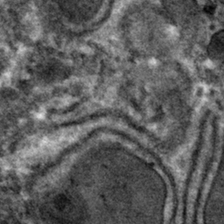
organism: Mouse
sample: Mouse hepatocytes